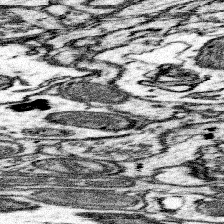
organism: Mouse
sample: Somatosensory cortex neuropil